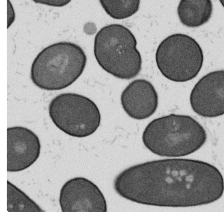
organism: B. subtilis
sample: Bacterial spore